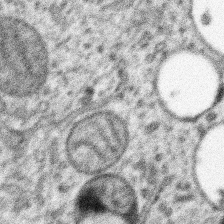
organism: Human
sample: HeLa cells